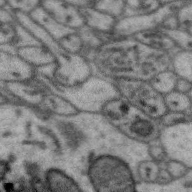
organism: Zebra finch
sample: Brain